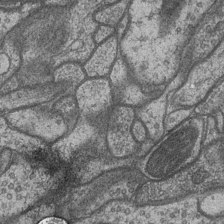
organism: Drosophila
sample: Optic medulla